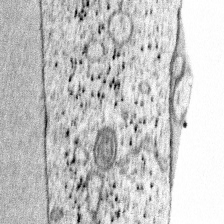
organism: Human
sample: HeLa cells